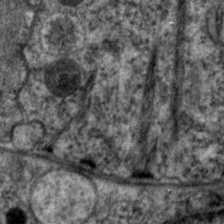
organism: C. elegans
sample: Pharynx